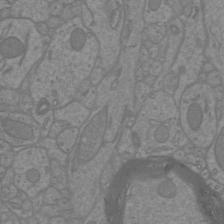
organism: Mouse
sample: Cortical neurons